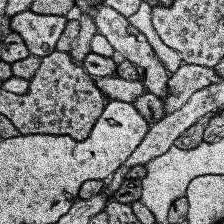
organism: Human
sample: Temporal Lobe